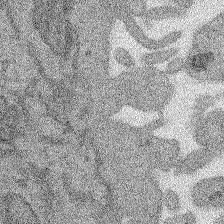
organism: Human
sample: HeLa cells